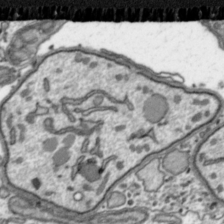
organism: Toxoplasma gondii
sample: Parasites in a vacuole inside a host cell